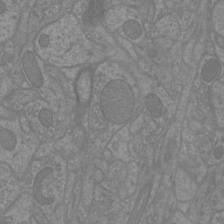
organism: Mouse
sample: Cortical neurons